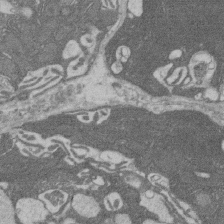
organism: Rat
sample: Salivary granule